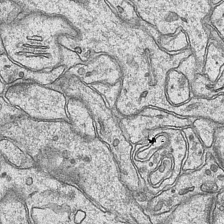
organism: Mouse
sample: CA1 Hippocampus